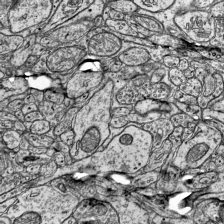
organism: Mouse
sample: Visual Cortex